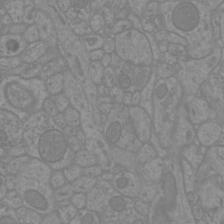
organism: Mouse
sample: Cortical neurons